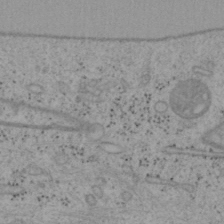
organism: Human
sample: HeLa cells